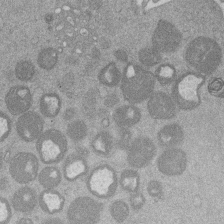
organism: Mouse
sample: Dividing mouse embryo 1 cell stage